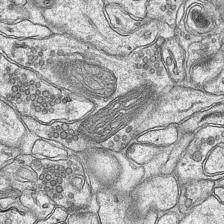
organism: Mouse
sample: CA1 Hippocampus